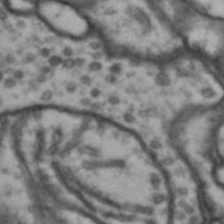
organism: Drosophila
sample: Brain